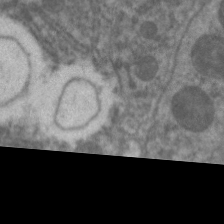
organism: C. elegans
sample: Pharynx